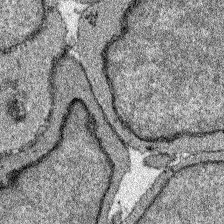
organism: Zebrafish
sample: Larval olfactory bulb